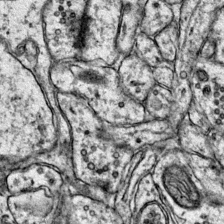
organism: Mouse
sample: Primary visual cortex